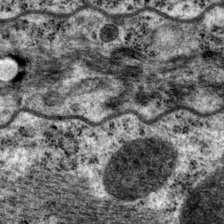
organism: P. pacificus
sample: Pharynx